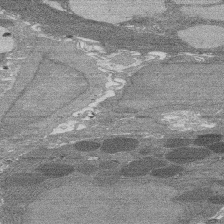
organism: Rat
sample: Salivary granule